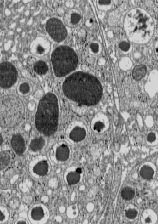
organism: C57BL Mouse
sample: Pancreatic islet